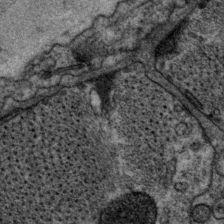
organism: P. pacificus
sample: Pharynx